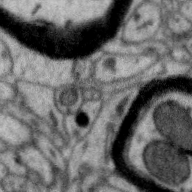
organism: Zebra finch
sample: Brain